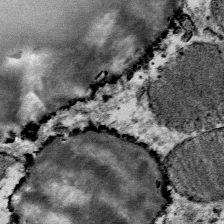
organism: Mouse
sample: Mouse Salivary gland